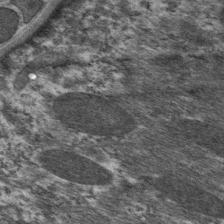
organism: C. elegans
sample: Pharynx